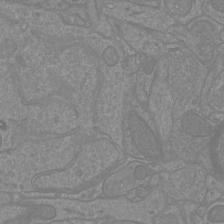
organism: Mouse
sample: Cortical neurons